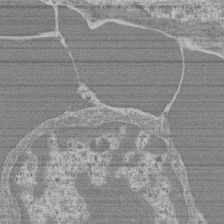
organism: Mouse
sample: Glomerulus